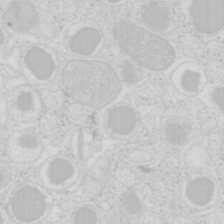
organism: Mouse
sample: Pancreas